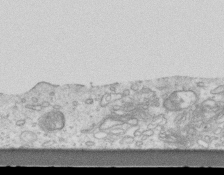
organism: Mouse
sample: Centriole in ependymal cells